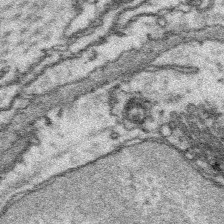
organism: Platynereis dumerilii